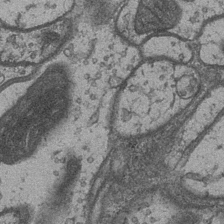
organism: Drosophila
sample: Optic medulla